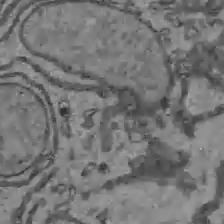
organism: C57BL Mouse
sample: Liver